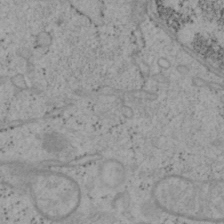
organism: Human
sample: HeLa cells